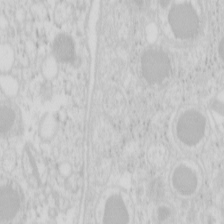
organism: Mouse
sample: Pancreas